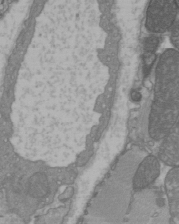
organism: C57BL Mouse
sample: Heart